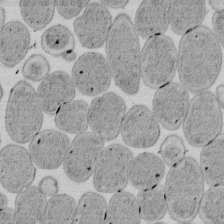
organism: E. coli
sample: Bacterial nucleoid